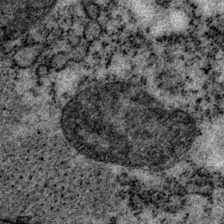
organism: P. pacificus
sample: Pharynx